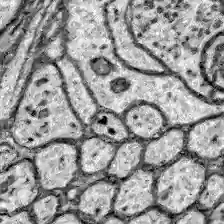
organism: Zebrafish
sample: Brain